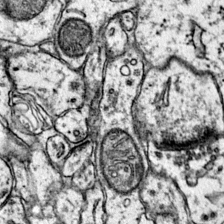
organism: Mouse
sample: Primary visual cortex